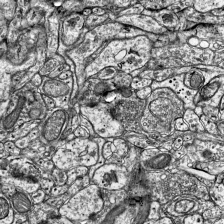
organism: Mouse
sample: Visual Cortex